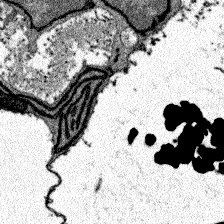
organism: Zebrafish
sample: Larval olfactory bulb